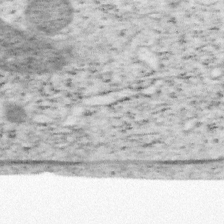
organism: Mouse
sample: OT-I killer T cells with ID8 ovarian cancer cells